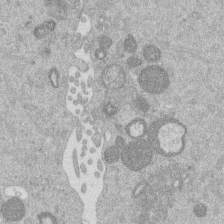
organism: Mouse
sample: Dividing mouse embryo 1 cell stage